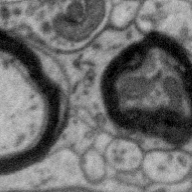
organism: Zebra finch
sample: Brain